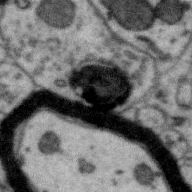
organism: Zebra finch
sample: Brain